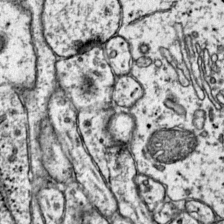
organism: Mouse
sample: Primary visual cortex